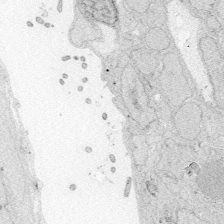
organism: Zebrafish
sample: Whole-Brain